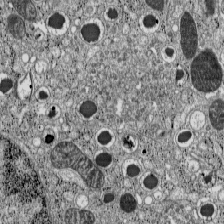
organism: C57BL Mouse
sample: Pancreatic islet